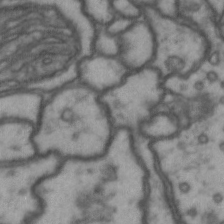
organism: Drosophila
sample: Brain